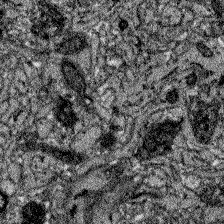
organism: Zebrafish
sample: Larval olfactory bulb